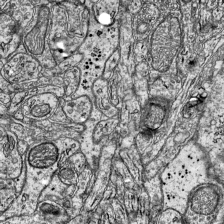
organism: Mouse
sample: Visual Cortex